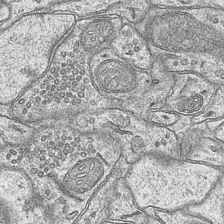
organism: Mouse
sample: CA1 Hippocampus